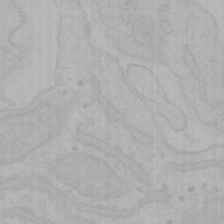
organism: Mouse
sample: Choroid plexus